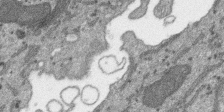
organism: Human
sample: Lung epithelial cells infected with SARS-CoV-2